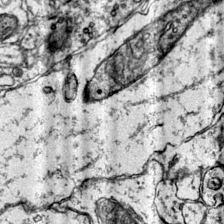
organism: Mouse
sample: Primary visual cortex